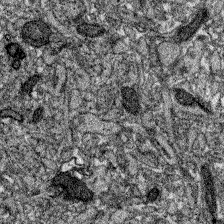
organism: Zebrafish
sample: Larval olfactory bulb